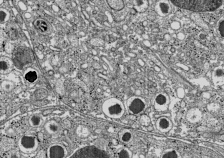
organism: C57BL Mouse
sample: Pancreatic islet